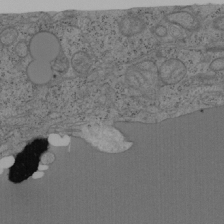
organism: Human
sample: HeLa cells